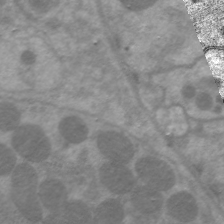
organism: C. elegans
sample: Pharynx